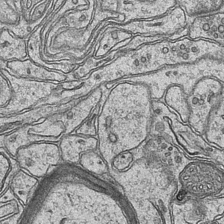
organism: Mouse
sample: CA1 Hippocampus